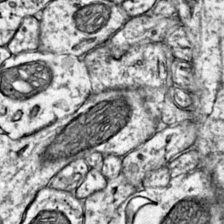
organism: Mouse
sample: Primary visual cortex